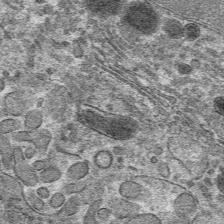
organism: Mouse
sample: Mouse hepatocytes